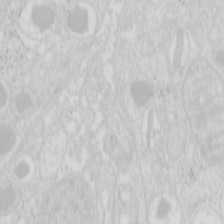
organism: Mouse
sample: Pancreas